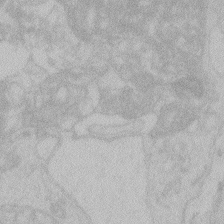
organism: Zebrafish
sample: Macrophage infected with Toxoplasma gondii